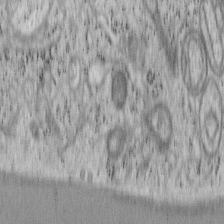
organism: Human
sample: HeLa cells